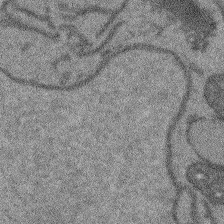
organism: Arabidopsis thaliana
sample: Root tip